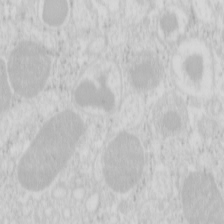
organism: Mouse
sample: Pancreas